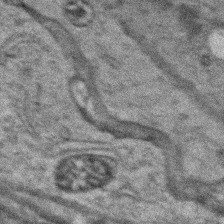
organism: Zebrafish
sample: Zebrafish embryo